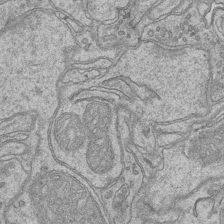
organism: Mouse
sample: CA1 Hippocampus